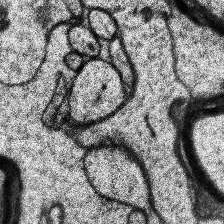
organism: Human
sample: Temporal Lobe